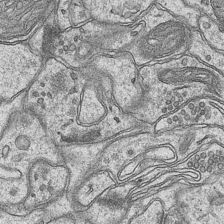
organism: Mouse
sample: CA1 Hippocampus